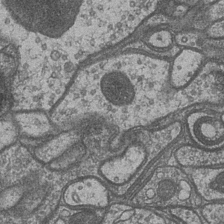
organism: Drosophila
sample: Optic medulla